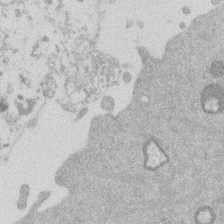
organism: Mouse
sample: Dividing mouse embryo 1 cell stage